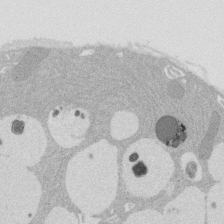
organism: Rat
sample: Salivary granule